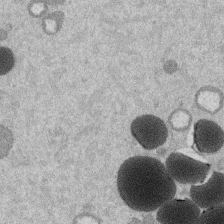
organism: Mouse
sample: Dividing mouse embryo 1 cell stage